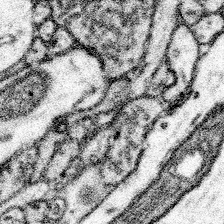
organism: Mouse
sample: Somatosensory cortex neuropil